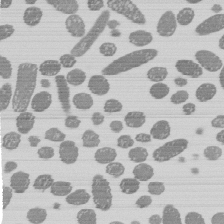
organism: E. coli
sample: Bacterial nucleoid